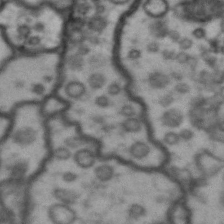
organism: Drosophila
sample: Brain